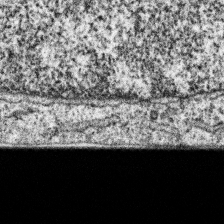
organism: Human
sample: HeLa cells